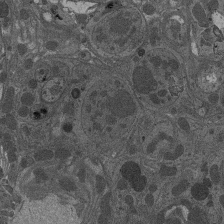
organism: Drosophila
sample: Antenna